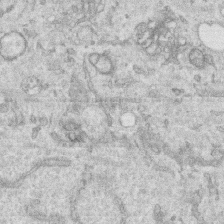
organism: Human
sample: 1205lu cells